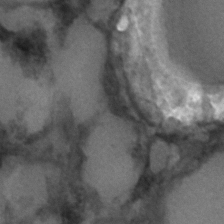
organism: C. elegans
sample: C. elegans embryo